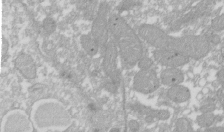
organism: Xenopus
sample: Cilia; centrioles in frog embryo cells